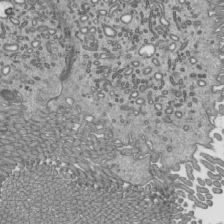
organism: Mouse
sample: Mouse epididymis efferent ductule cilia